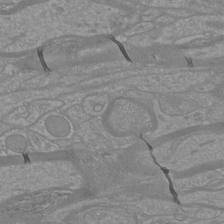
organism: Mouse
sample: Cortical neurons